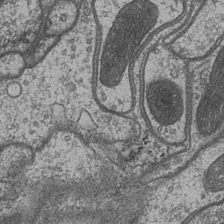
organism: Drosophila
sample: Optic medulla